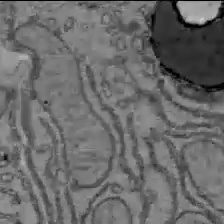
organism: C57BL Mouse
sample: Liver